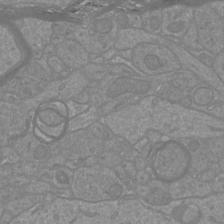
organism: Mouse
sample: Cortical neurons